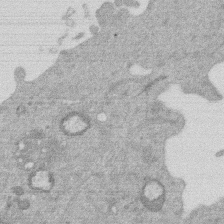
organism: Mouse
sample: Dividing mouse embryo 1 cell stage